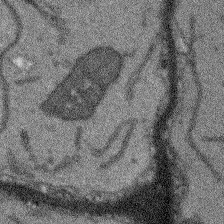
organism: Arabidopsis thaliana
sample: Root tip